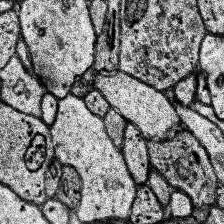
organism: Human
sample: Temporal Lobe